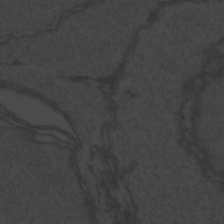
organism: Zebrafish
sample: Macrophage infected with Toxoplasma gondii